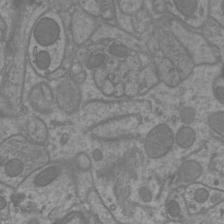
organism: Mouse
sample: Cortical neurons